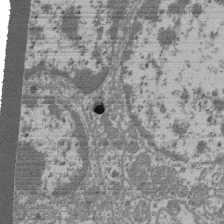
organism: Mouse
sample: Glomerulus